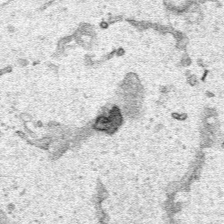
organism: Human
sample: Mitochondria in HCT116 cells